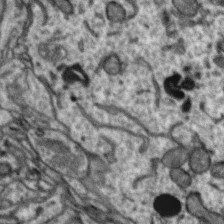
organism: Zebra finch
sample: Brain